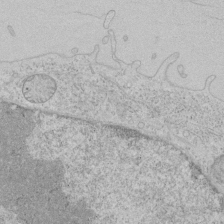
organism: Human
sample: Mitochondria in HCT116 cells